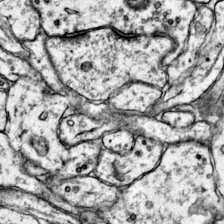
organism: Mouse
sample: Primary visual cortex